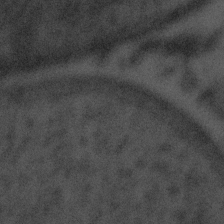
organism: Tuwongella immobilis